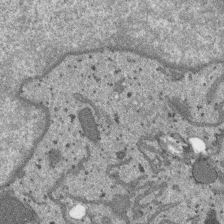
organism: Human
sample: Lung epithelial cells infected with SARS-CoV-2